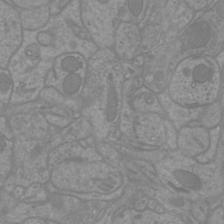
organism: Mouse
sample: Cortical neurons